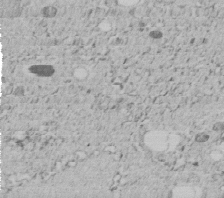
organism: C. elegans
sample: C. elegans embryo early stage